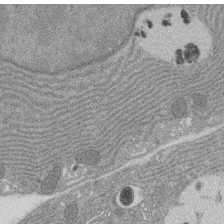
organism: Rat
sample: Salivary granule